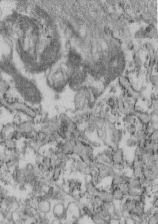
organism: Mouse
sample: Cilia; retinal pigment epithelium